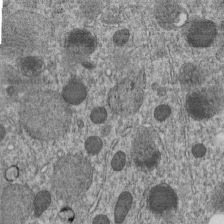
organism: C. elegans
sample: C. elegans embryo early stage